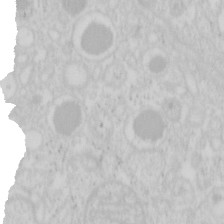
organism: Mouse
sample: Pancreas